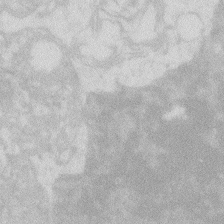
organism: Zebrafish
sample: Macrophage